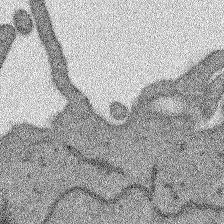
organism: Human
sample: HeLa cells